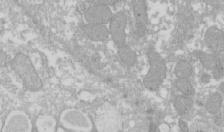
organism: Xenopus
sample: Cilia; centrioles in frog embryo cells